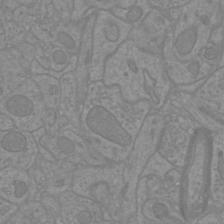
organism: Mouse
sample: Cortical neurons